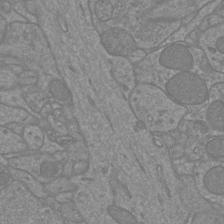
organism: Mouse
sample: Cortical neurons